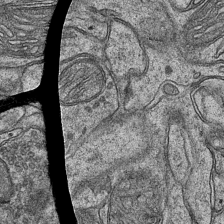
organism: Mouse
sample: CA1 Hippocampus